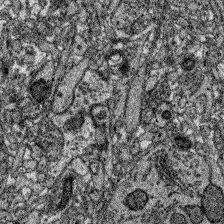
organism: Zebrafish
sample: Larval olfactory bulb